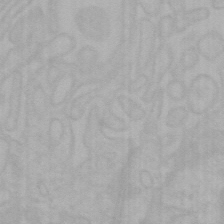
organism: Mouse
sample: Choroid plexus